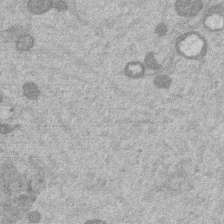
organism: Mouse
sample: Dividing mouse embryo 1 cell stage